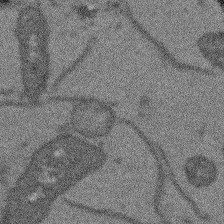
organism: Arabidopsis thaliana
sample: Root tip